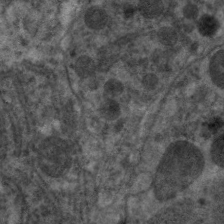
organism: C. elegans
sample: Pharynx